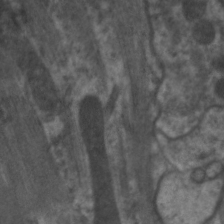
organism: C. elegans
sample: Pharynx